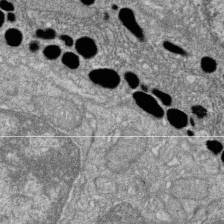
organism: Zebrafish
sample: Cilia; retinal pigment epithelium